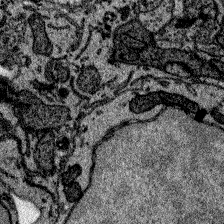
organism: Zebrafish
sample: Larval olfactory bulb